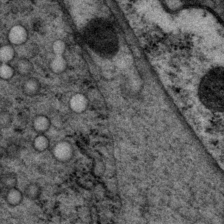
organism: P. pacificus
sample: Pharynx